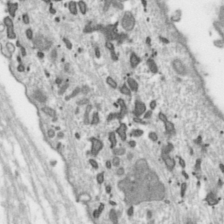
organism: Toxoplasma gondii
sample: Parasites in a vacuole inside a host cell